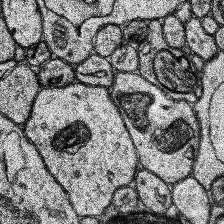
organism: Human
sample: Temporal Lobe